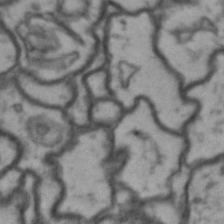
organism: Drosophila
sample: Brain